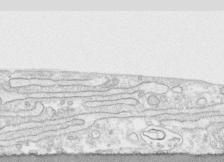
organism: Human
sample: CRL-1474